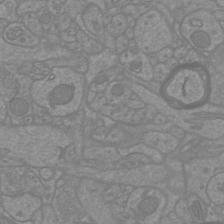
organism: Mouse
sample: Cortical neurons